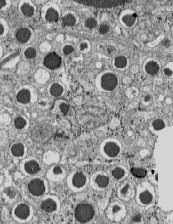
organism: C57BL Mouse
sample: Pancreatic islet